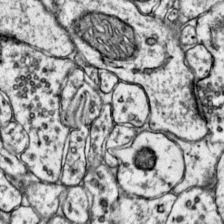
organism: Mouse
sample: Primary visual cortex